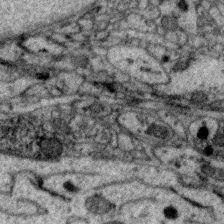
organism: Zebra finch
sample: Brain